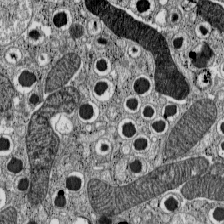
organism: C57BL Mouse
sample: Pancreatic islet